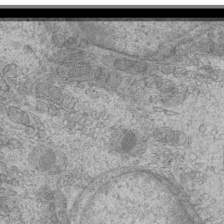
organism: Mouse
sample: Cilia; mouse epididymis